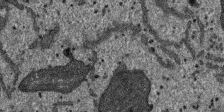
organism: Human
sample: Lung epithelial cells infected with SARS-CoV-2